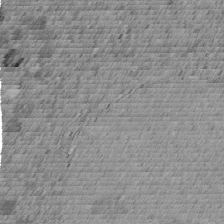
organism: C. elegans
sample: C. elegans embryo early stage